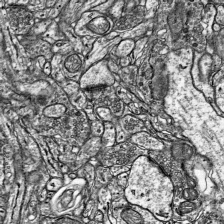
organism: Mouse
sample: Visual Cortex